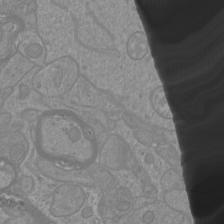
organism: Mouse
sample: Cortical neurons